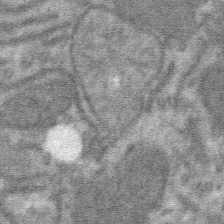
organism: Mouse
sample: Mouse hepatocytes